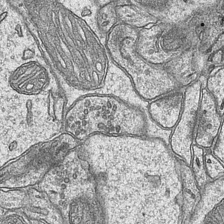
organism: Mouse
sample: CA1 Hippocampus